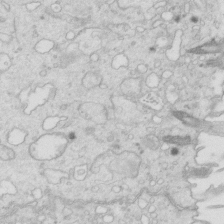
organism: Mouse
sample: Multiciliated cells